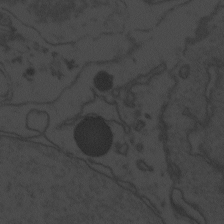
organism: Zebrafish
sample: Macrophage infected with Toxoplasma gondii